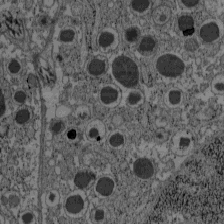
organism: C57BL Mouse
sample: Pancreatic islet